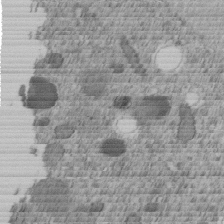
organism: C. elegans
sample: C. elegans embryo early stage